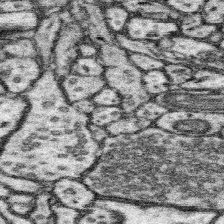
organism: Mouse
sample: Somatosensory cortex neuropil